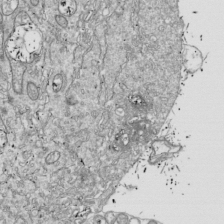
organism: Drosophila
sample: Cell division; meiosis; drosophila spermatocytes